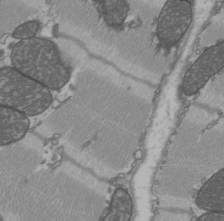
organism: C57BL Mouse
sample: Heart